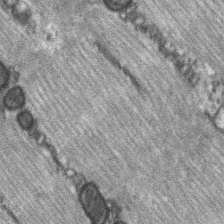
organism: C57BL Mouse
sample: Soleus